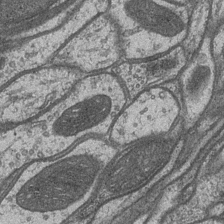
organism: Drosophila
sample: Optic medulla